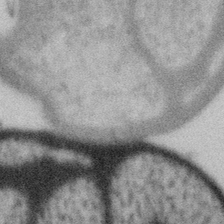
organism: Gemmata obscuriglobus